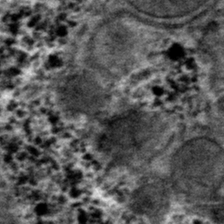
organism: Mouse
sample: Mouse hepatocytes